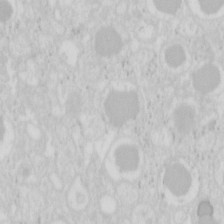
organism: Mouse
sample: Pancreas